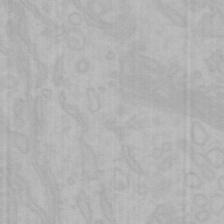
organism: Mouse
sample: Choroid plexus